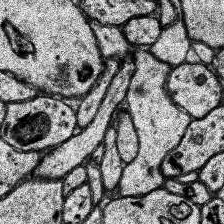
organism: Human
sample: Temporal Lobe